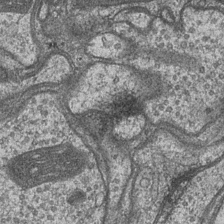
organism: Drosophila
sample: Optic medulla